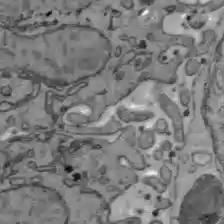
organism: C57BL Mouse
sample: Liver